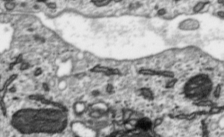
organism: Toxoplasma gondii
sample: Parasites in a vacuole inside a host cell